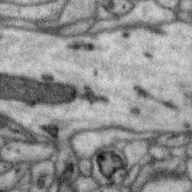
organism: Zebra finch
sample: Brain